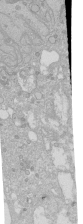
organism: Human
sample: Caco-2 cells